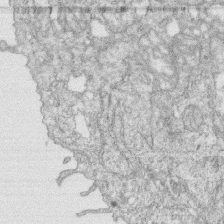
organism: Human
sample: HeLa cell HIV synapse